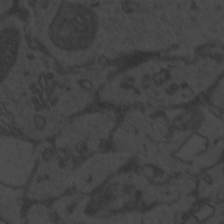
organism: Zebrafish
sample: Macrophage infected with Toxoplasma gondii